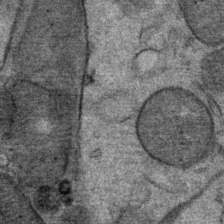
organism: Mouse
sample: Mouse Salivary gland